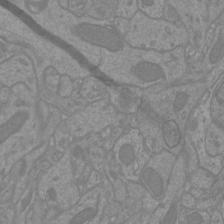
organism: Mouse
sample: Cortical neurons